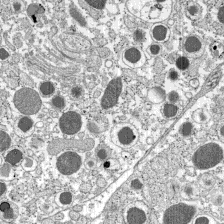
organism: C57BL Mouse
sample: Pancreatic islet